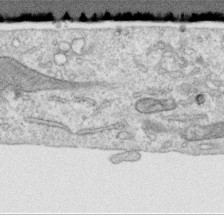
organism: Human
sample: Centriole in RPE cells